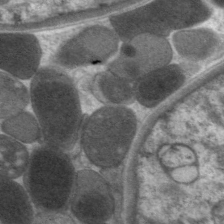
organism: C. elegans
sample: Pharynx